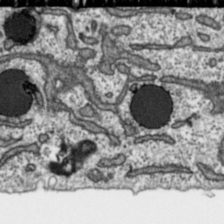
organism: Toxoplasma gondii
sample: Parasites in a vacuole inside a host cell